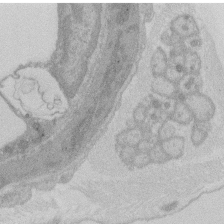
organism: Rat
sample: Salivary granule